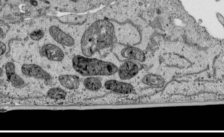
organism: Human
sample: Mitochondria in HCT116 cells